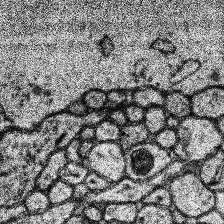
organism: Human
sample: Temporal Lobe